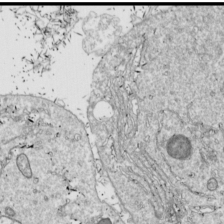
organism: Drosophila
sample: Cell division; meiosis; drosophila spermatocytes